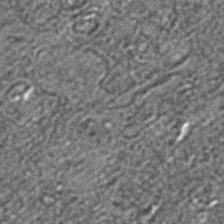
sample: Trachea